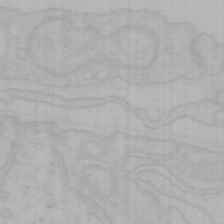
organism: Mouse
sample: Choroid plexus